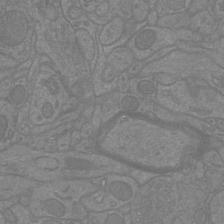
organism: Mouse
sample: Cortical neurons